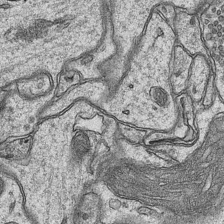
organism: Mouse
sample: CA1 Hippocampus